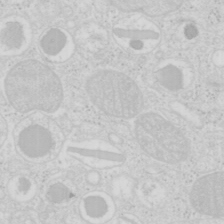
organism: Mouse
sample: Pancreas